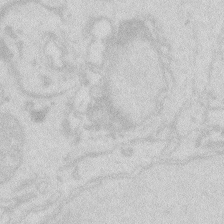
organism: Zebrafish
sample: Macrophage